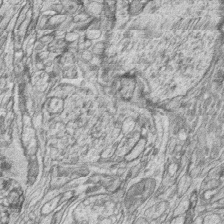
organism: Zebrafish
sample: synaptic ribbons in rod cells and cone cells